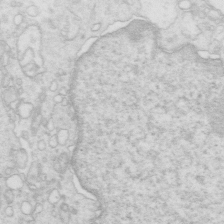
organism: Mouse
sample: Multiciliated cells